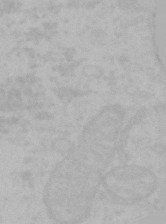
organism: Mouse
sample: Choroid plexus